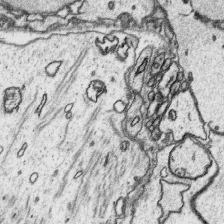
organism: Platynereis dumerilii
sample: Parapodia